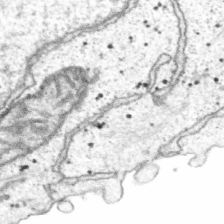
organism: Human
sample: HeLa cells